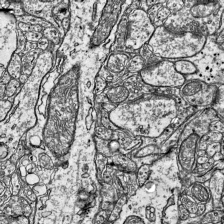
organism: Mouse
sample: Visual Cortex